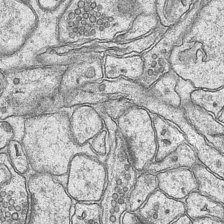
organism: Mouse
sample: CA1 Hippocampus